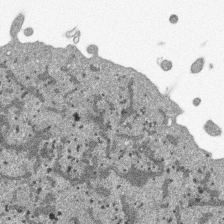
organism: Human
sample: Lung epithelial cells infected with SARS-CoV-2